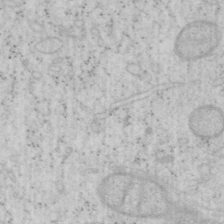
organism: Human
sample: HeLa cells